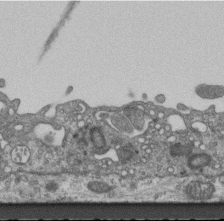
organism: Mouse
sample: Centriole in ependymal cells